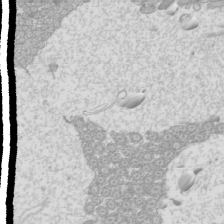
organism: Mouse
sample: Cilia; mouse epididymis